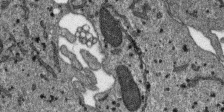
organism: Human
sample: Lung epithelial cells infected with SARS-CoV-2